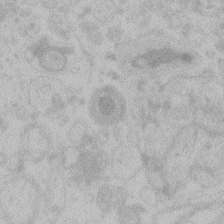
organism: Zebrafish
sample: Macrophage infected with Toxoplasma gondii